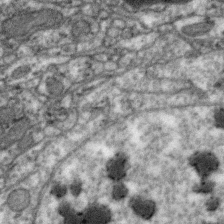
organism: Zebra finch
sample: Brain